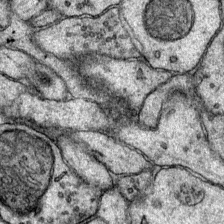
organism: Mouse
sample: Primary visual cortex